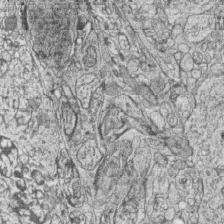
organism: Zebrafish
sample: synaptic ribbons in rod cells and cone cells